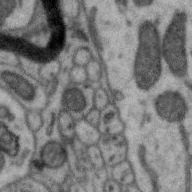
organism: Zebra finch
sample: Brain